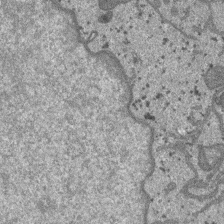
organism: Human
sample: Lung epithelial cells infected with SARS-CoV-2